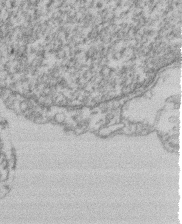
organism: Mouse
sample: T cell stromal cell synapse